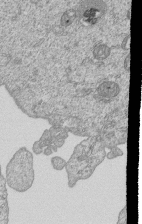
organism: Human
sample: MDA-MB-231 cells